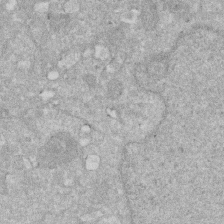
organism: Human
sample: HIV infected U937 cells